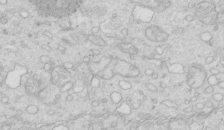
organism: Mouse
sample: Multiciliated cells